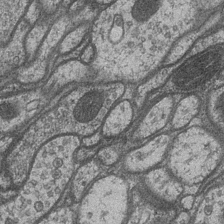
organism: Drosophila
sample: Optic medulla